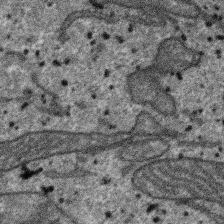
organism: Human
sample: Lung epithelial cells infected with SARS-CoV-2